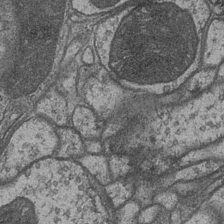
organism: Drosophila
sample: Optic medulla